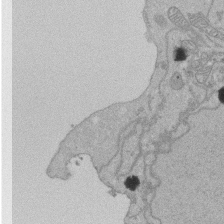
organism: Human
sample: Activated Jurkat CD4+ T cells